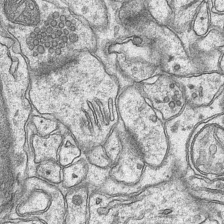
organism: Mouse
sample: CA1 Hippocampus